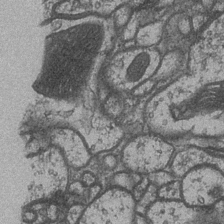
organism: Drosophila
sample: Optic medulla